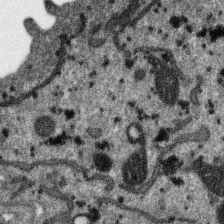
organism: Human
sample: Lung epithelial cells infected with SARS-CoV-2